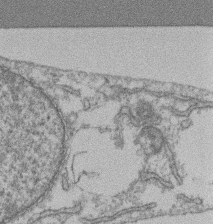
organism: Mouse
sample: T cell stromal cell synapse